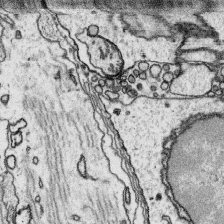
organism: Platynereis dumerilii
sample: Parapodia